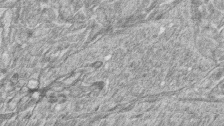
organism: Zebrafish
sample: synaptic ribbons in rod cells and cone cells